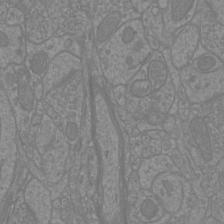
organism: Mouse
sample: Cortical neurons